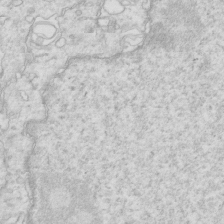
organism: Mouse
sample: Multiciliated cells